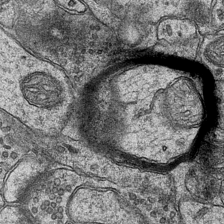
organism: Mouse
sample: CA1 Hippocampus